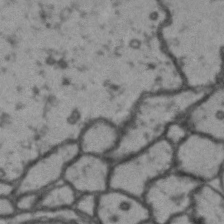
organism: Drosophila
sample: Brain